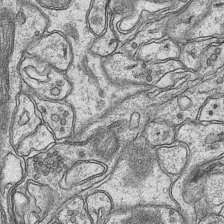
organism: Mouse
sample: CA1 Hippocampus